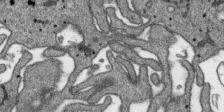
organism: Human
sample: Lung epithelial cells, uninfected (mock) control